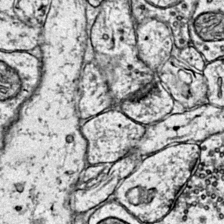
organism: Mouse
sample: Primary visual cortex